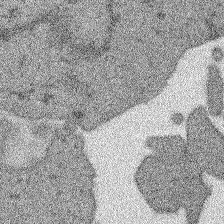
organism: Human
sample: HeLa cells